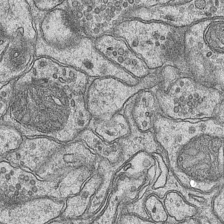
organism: Mouse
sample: CA1 Hippocampus